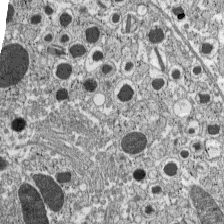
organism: C57BL Mouse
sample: Pancreatic islet